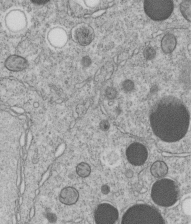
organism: C. elegans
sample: C. elegans embryo early stage